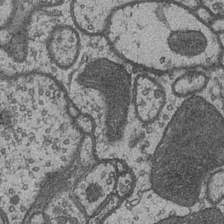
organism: Drosophila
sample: Optic medulla